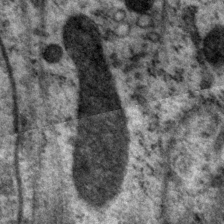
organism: P. pacificus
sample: Pharynx